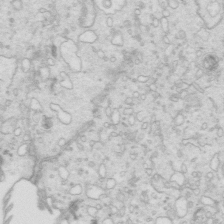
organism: Mouse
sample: Multiciliated cells